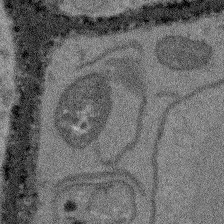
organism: Arabidopsis thaliana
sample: Root tip